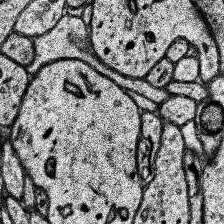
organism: Human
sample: Temporal Lobe